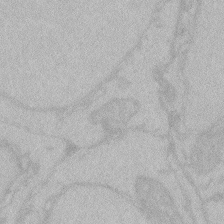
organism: Zebrafish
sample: Macrophage infected with Toxoplasma gondii